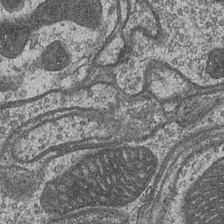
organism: Drosophila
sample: Optic medulla